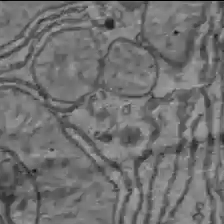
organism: C57BL Mouse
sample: Liver